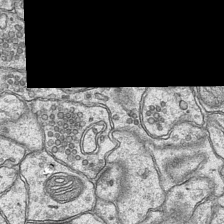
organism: Mouse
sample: CA1 Hippocampus